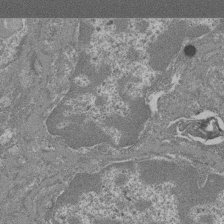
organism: Mouse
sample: Glomerulus